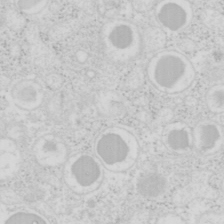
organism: Mouse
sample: Pancreas